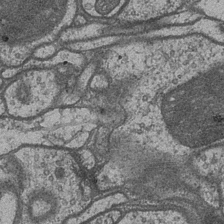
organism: Drosophila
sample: Optic medulla